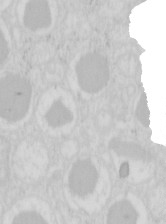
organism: Mouse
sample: Pancreas